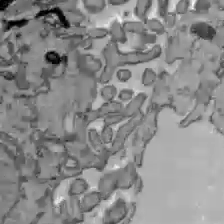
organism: C57BL Mouse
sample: Liver